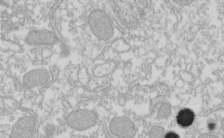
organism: Xenopus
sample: Cilia; centrioles in frog embryo cells